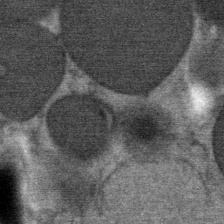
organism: Mouse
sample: Mouse Salivary gland